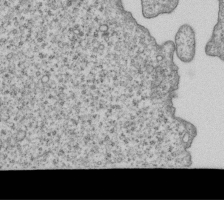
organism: Human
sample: MDA-MB-231 cells